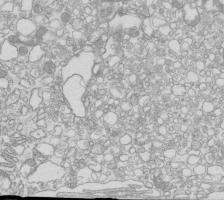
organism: Mouse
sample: Macrophages